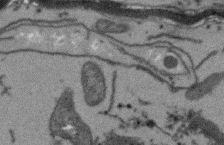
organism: Arabidopsis thaliana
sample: Root tip